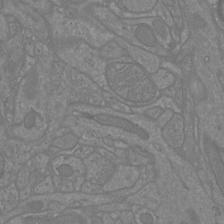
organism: Mouse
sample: Cortical neurons